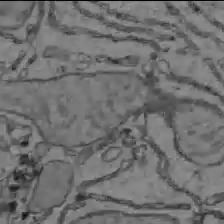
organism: C57BL Mouse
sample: Liver